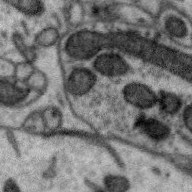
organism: Zebra finch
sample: Brain